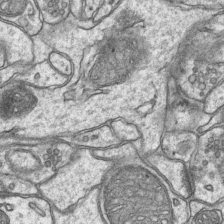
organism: Mouse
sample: CA1 Hippocampus